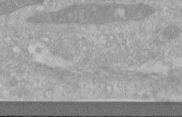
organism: Human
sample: Centriole in RPE cells